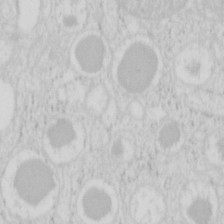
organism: Mouse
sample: Pancreas